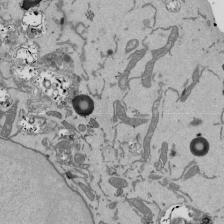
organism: Mouse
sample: ED-1 cell nuclei; centrioles